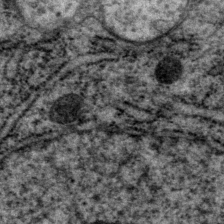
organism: P. pacificus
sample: Pharynx